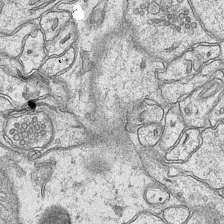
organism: Mouse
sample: CA1 Hippocampus